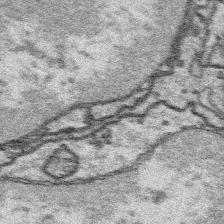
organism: Platynereis dumerilii